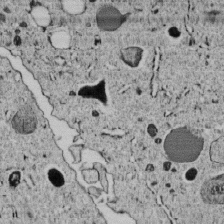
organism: C. elegans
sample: C. elegans embryo early stage